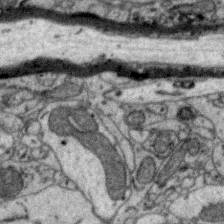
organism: Zebra finch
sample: Brain